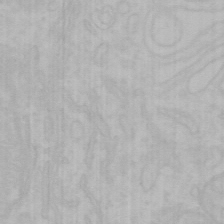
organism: Mouse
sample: Choroid plexus